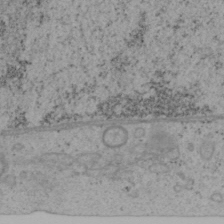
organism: Human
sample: HeLa cells